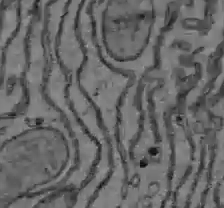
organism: C57BL Mouse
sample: Liver